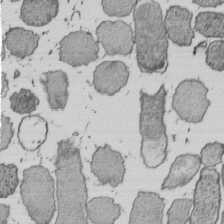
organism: E. coli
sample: Bacterial nucleoid